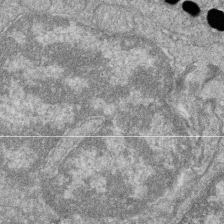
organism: Zebrafish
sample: Cilia; retinal pigment epithelium